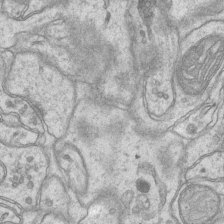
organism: Mouse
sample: CA1 Hippocampus